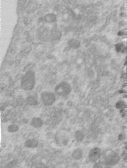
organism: Human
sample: Centriole in RPE cells